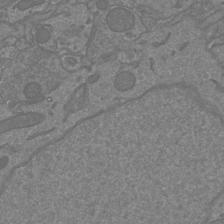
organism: Mouse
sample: Cortical neurons